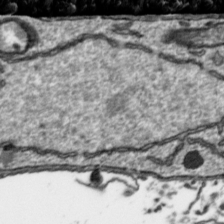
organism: Toxoplasma gondii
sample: Parasites in a vacuole inside a host cell